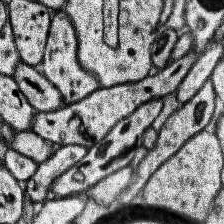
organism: Human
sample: Temporal Lobe